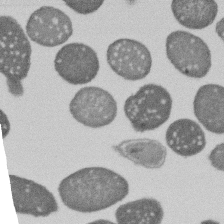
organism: E. coli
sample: Bacterial nucleoid